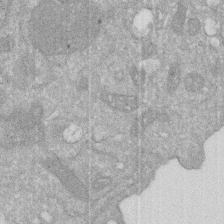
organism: Human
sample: HIV infected U937 cells